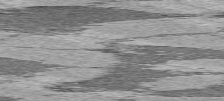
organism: C57BL Mouse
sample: Heart